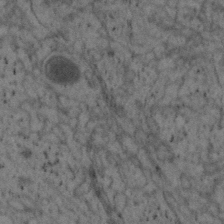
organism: Human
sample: HeLa cells